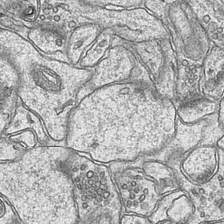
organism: Mouse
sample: CA1 Hippocampus